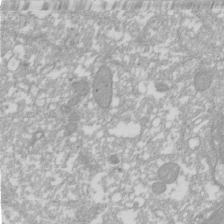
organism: Xenopus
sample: Cilia; centrioles in frog embryo cells